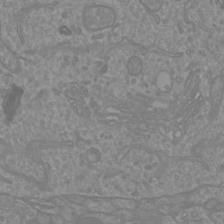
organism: Mouse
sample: Cortical neurons